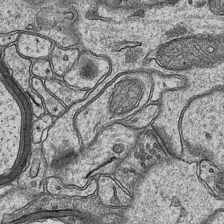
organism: Mouse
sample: CA1 Hippocampus